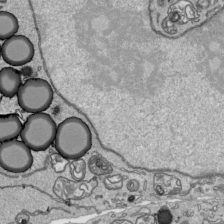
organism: Human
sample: Mitochondria in HCT116 cells